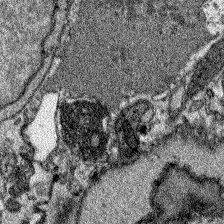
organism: Zebrafish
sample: Larval olfactory bulb